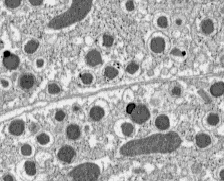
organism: C57BL Mouse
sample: Pancreatic islet